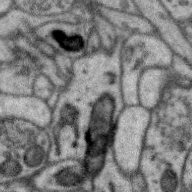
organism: Zebra finch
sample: Brain